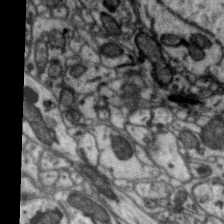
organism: Zebra finch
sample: Brain